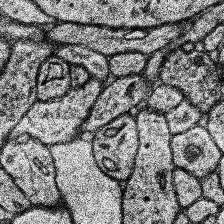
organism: Human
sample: Temporal Lobe